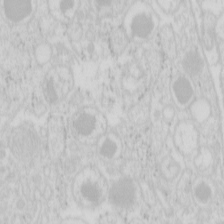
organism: Mouse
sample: Pancreas